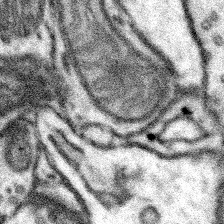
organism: Mouse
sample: Somatosensory cortex neuropil